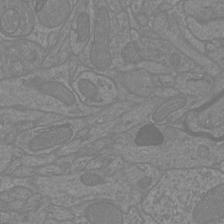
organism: Mouse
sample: Cortical neurons